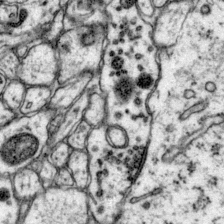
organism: Mouse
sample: Primary visual cortex